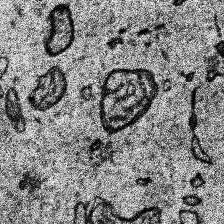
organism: Human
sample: Temporal Lobe